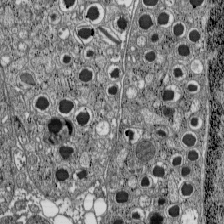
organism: C57BL Mouse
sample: Pancreatic islet